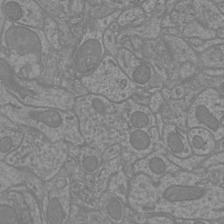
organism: Mouse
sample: Cortical neurons